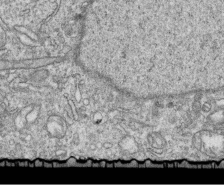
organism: Human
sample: HeLa cell HIV synapse